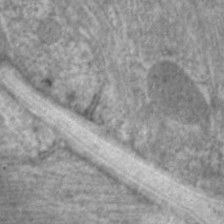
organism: C. elegans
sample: Pharynx